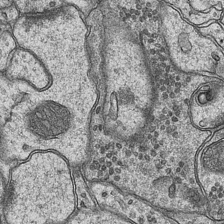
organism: Mouse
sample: CA1 Hippocampus